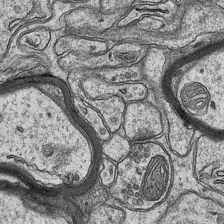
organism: Mouse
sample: CA1 Hippocampus